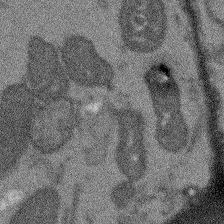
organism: Arabidopsis thaliana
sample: Root tip